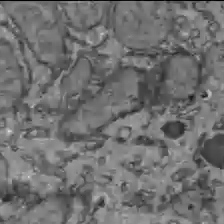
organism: C57BL Mouse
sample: Liver